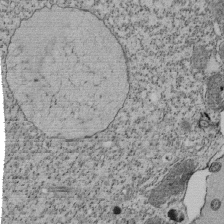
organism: Tetrahymena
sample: Cilia in tetrahymena